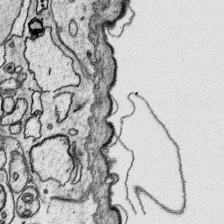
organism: Platynereis dumerilii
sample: Parapodia